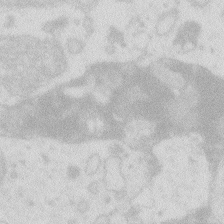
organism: Zebrafish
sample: Macrophage